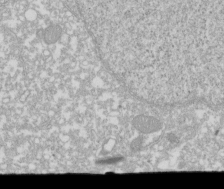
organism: Xenopus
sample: Cilia; centrioles in frog embryo cells